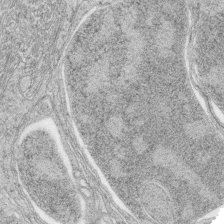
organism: Zebrafish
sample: synaptic ribbons in rod cells and cone cells